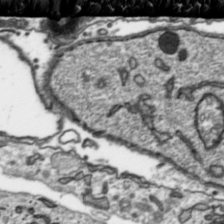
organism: Toxoplasma gondii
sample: Parasites in a vacuole inside a host cell